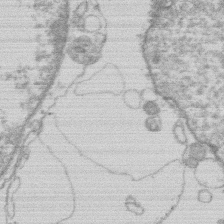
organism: Human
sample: Macrophage cells